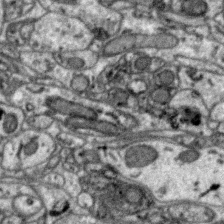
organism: Zebra finch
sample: Brain